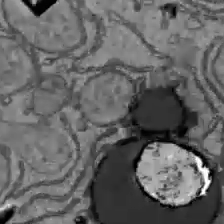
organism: C57BL Mouse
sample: Liver